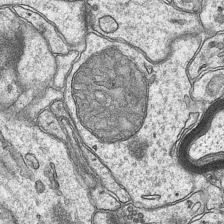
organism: Mouse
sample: CA1 Hippocampus